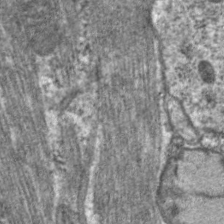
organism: C. elegans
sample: Pharynx